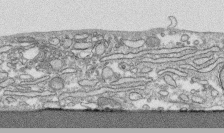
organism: Human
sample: CRL-1474